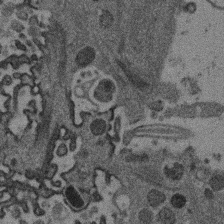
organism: Mouse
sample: Dividing mouse embryo 1 cell stage